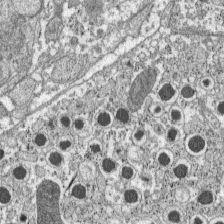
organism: C57BL Mouse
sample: Pancreatic islet